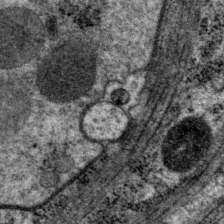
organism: P. pacificus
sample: Pharynx